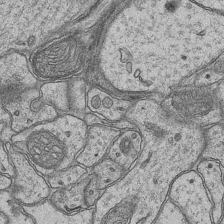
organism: Mouse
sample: CA1 Hippocampus